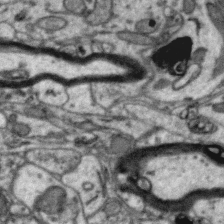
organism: Zebra finch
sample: Brain